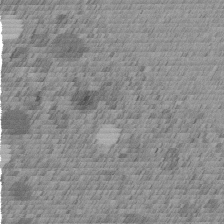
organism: C. elegans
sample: C. elegans embryo early stage